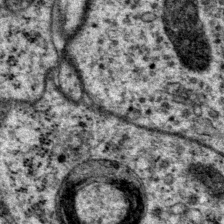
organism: P. pacificus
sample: Pharynx